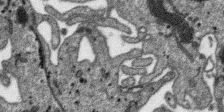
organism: Human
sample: Lung epithelial cells infected with SARS-CoV-2